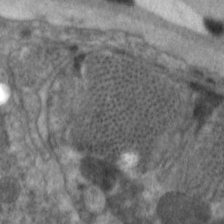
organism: C. elegans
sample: Pharynx